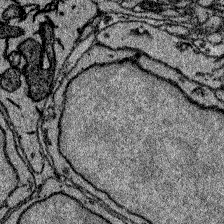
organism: Zebrafish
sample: Larval olfactory bulb